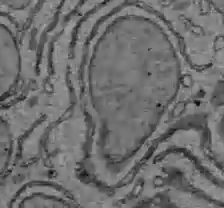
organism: C57BL Mouse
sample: Liver